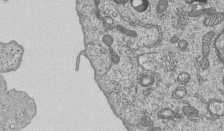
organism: Human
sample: MDA-MB-231 cells